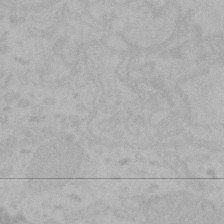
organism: Mouse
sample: Choroid plexus